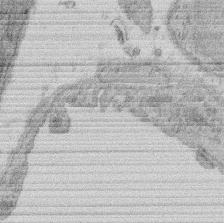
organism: Rat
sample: Salivary granule